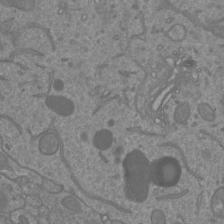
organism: Mouse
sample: Cortical neurons